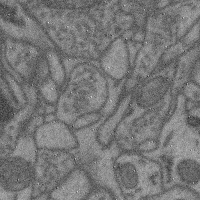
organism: Mouse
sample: Cerebral cortex